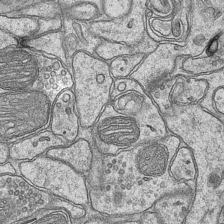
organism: Mouse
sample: CA1 Hippocampus